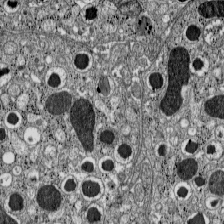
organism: C57BL Mouse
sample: Pancreatic islet